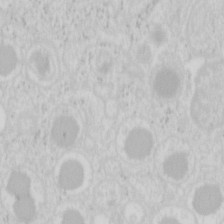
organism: Mouse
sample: Pancreas